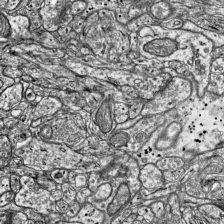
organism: Mouse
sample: Visual Cortex